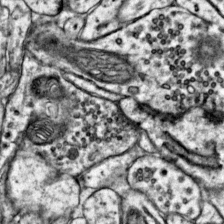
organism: Mouse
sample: Primary visual cortex